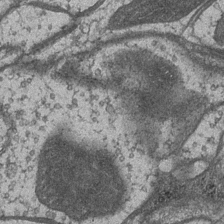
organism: Drosophila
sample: Optic medulla